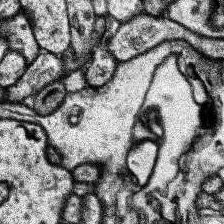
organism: Human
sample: Temporal Lobe